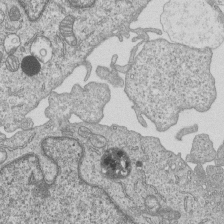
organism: Human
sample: MDA-MB-231 cells